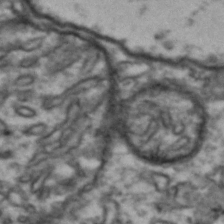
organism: Drosophila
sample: Brain